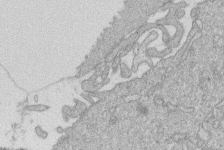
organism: Human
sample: Macrophage cells